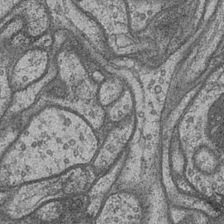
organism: Drosophila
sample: Optic medulla